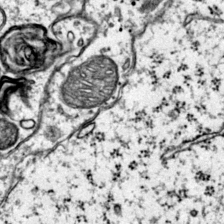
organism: Mouse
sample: Primary visual cortex